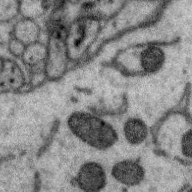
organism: Zebra finch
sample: Brain